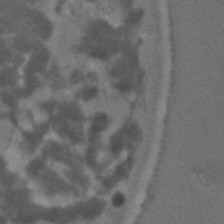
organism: C. elegans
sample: C. elegans embryo